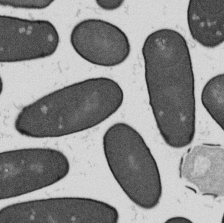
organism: B. subtilis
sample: Bacterial spore